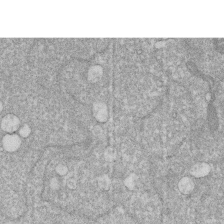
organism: Human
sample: HIV infected U937 cells